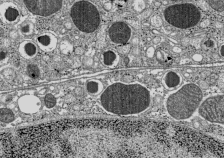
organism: C57BL Mouse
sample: Pancreatic islet